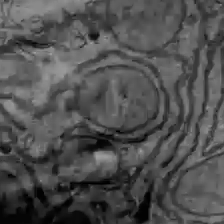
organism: C57BL Mouse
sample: Liver